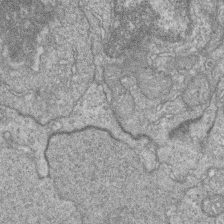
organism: Zebrafish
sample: Cilia; retinal pigment epithelium